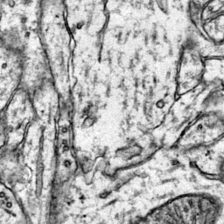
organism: Mouse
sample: Primary visual cortex